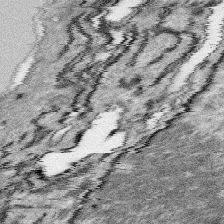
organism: Human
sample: HeLa cells